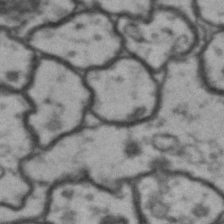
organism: Drosophila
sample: Brain